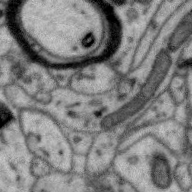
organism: Zebra finch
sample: Brain